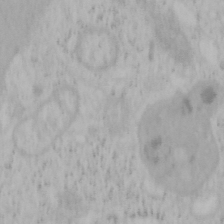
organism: Mouse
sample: OT-I killer T cells with ID8 ovarian cancer cells